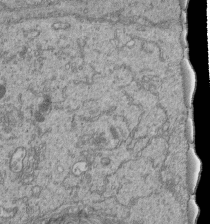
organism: Human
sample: Retinal organoid Rod and Cone cells